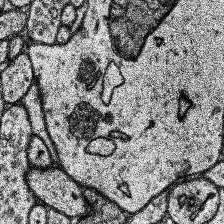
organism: Human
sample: Temporal Lobe